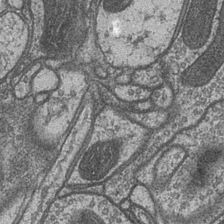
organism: Drosophila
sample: Optic medulla